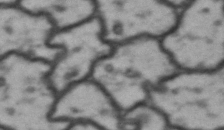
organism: Drosophila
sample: Brain